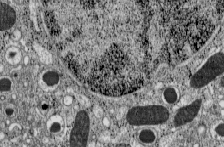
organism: C57BL Mouse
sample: Pancreatic islet